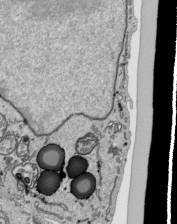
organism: Human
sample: Mitochondria in HCT116 cells